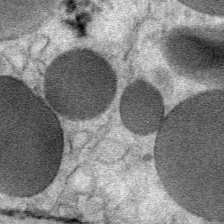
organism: Mouse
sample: Mouse Salivary gland